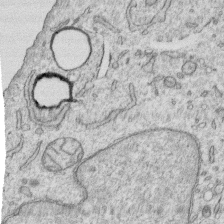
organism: Human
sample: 1205lu cells